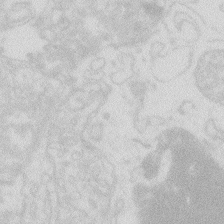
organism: Zebrafish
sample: Macrophage